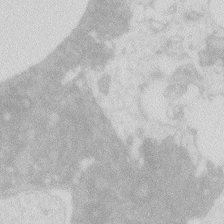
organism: Zebrafish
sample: Macrophage